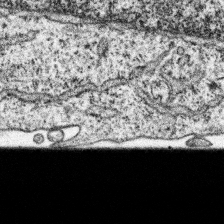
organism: Human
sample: HeLa cells